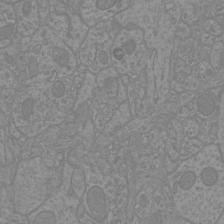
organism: Mouse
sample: Cortical neurons